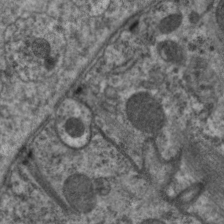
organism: C. elegans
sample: Pharynx